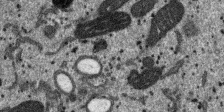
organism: Human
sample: Lung epithelial cells infected with SARS-CoV-2